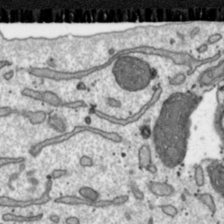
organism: Toxoplasma gondii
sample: Parasites in a vacuole inside a host cell